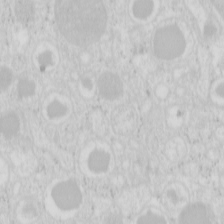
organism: Mouse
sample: Pancreas